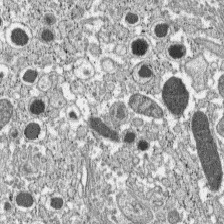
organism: C57BL Mouse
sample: Pancreatic islet